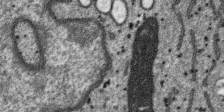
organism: Human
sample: Lung epithelial cells infected with SARS-CoV-2